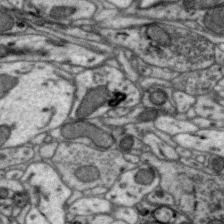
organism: Zebra finch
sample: Brain